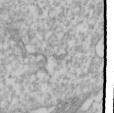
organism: Drosophila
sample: Cell division; meiosis; drosophila spermatocytes